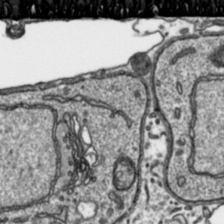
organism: Toxoplasma gondii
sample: Parasites in a vacuole inside a host cell